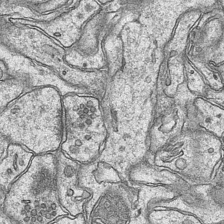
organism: Mouse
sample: CA1 Hippocampus